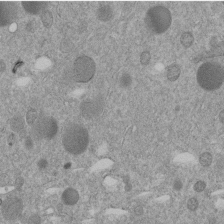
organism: C. elegans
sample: C. elegans embryo early stage